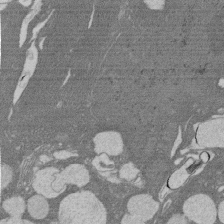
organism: Rat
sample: Salivary granule